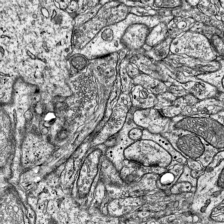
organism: Mouse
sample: Visual Cortex